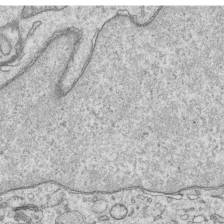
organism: Human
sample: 1205lu cells